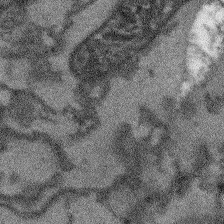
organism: Arabidopsis thaliana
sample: Root tip